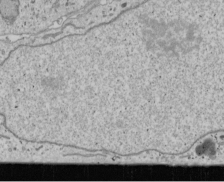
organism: Human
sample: Mitochondria in U2OS cells